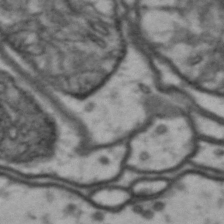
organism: Drosophila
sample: Brain